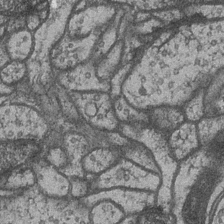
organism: Drosophila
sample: Optic medulla